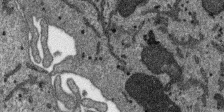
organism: Human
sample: Lung epithelial cells infected with SARS-CoV-2